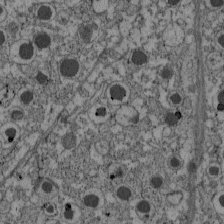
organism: C57BL Mouse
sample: Pancreatic islet